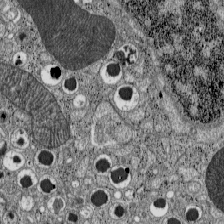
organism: C57BL Mouse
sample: Pancreatic islet